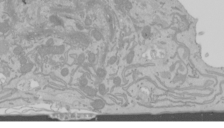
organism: Mouse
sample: Cancer cell death in ED-1 cells